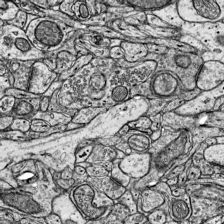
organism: Mouse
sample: Visual Cortex